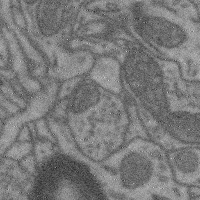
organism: Mouse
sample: Cerebral cortex